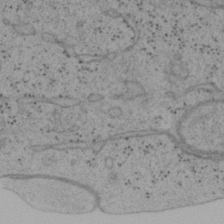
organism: Human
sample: HeLa cells